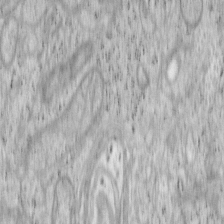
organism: Human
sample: HeLa cells